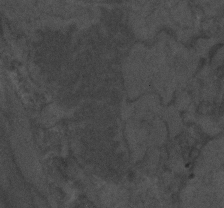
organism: C. elegans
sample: C. elegans embryo